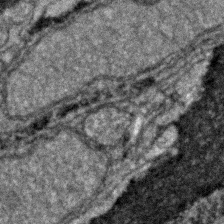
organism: Zebrafish